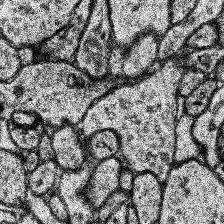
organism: Human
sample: Temporal Lobe